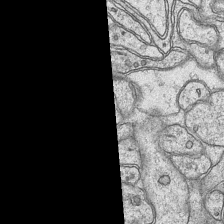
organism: Mouse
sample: CA1 Hippocampus